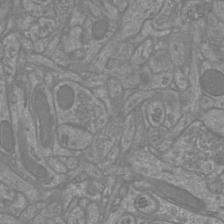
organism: Mouse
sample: Cortical neurons